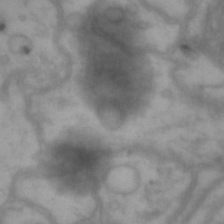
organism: Drosophila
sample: Brain